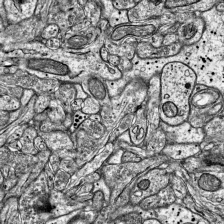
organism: Mouse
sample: Visual Cortex